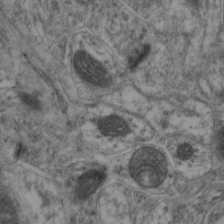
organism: Mouse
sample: Neocortex